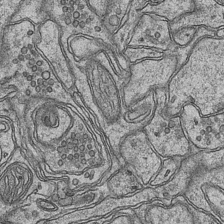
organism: Mouse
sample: CA1 Hippocampus